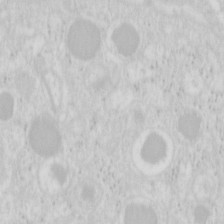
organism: Mouse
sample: Pancreas